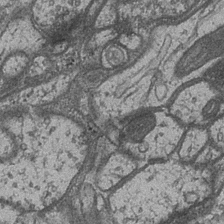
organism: Drosophila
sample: Optic medulla